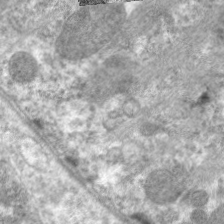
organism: C. elegans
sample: Pharynx